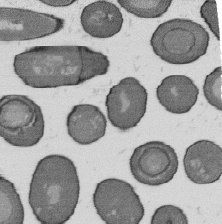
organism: B. subtilis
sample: Bacterial spore